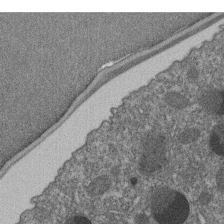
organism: C. elegans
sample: C. elegans embryo early stage